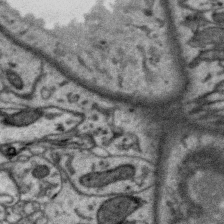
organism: Zebra finch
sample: Brain